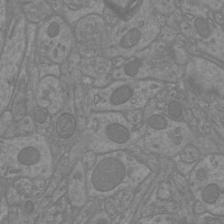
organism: Mouse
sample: Cortical neurons